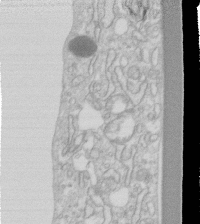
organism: Human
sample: Fibroblast cells